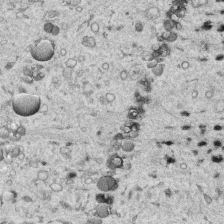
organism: Human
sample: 1205lu cells